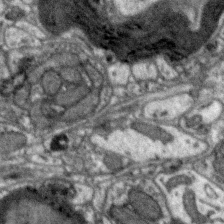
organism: Zebra finch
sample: Brain